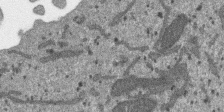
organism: Human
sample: Lung epithelial cells infected with SARS-CoV-2